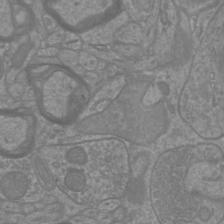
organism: Mouse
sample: Cortical neurons